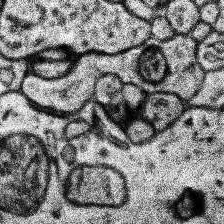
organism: Human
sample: Temporal Lobe